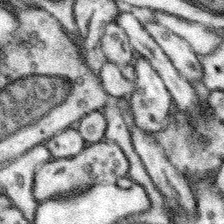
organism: Mouse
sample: Somatosensory cortex neuropil